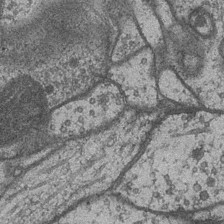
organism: Drosophila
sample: Optic medulla